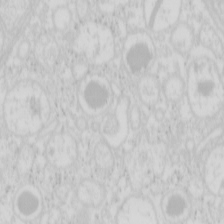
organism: Mouse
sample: Pancreas